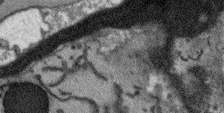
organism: Arabidopsis thaliana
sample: Root tip